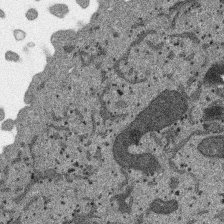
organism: Human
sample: Lung epithelial cells infected with SARS-CoV-2